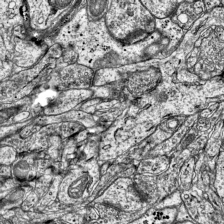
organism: Mouse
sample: Visual Cortex